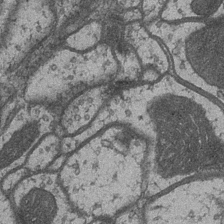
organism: Drosophila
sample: Optic medulla